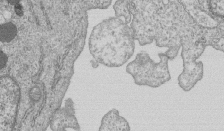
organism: Human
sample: MDA-MB-231 cells